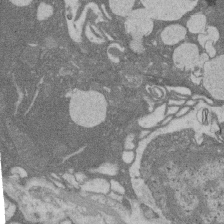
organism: Rat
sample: Salivary granule